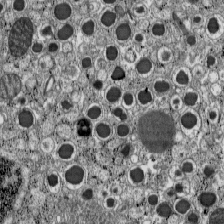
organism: C57BL Mouse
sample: Pancreatic islet